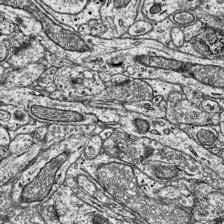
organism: Mouse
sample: Visual Cortex